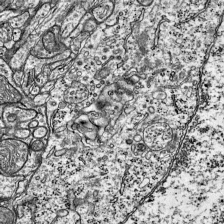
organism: Mouse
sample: Visual Cortex